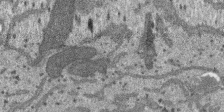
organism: Human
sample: Lung epithelial cells infected with SARS-CoV-2